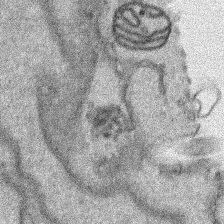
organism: Human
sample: Mitochondria in HCT116 cells